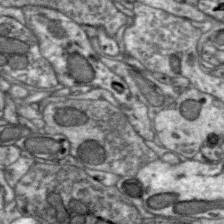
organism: Zebra finch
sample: Brain